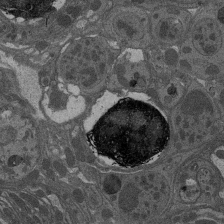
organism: Drosophila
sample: Antenna